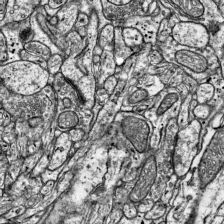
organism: Mouse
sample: Visual Cortex